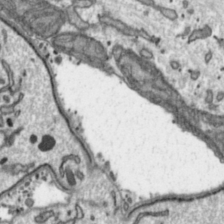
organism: Toxoplasma gondii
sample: Parasites in a vacuole inside a host cell